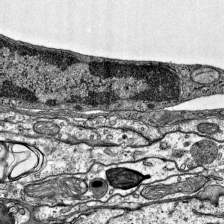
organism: Mouse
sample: Visual Cortex